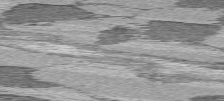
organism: C57BL Mouse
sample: Heart